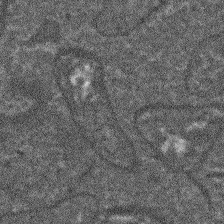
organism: Arabidopsis thaliana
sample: Root tip